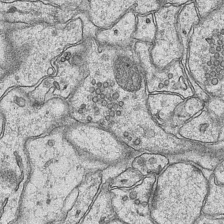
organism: Mouse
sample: CA1 Hippocampus